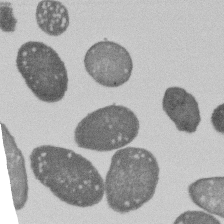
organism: E. coli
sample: Bacterial nucleoid